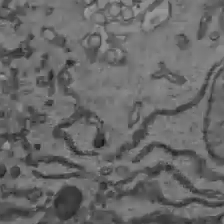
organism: C57BL Mouse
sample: Liver